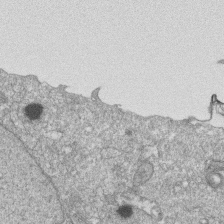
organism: Human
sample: HeLa cell HIV synapse